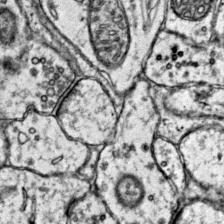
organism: Mouse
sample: Primary visual cortex